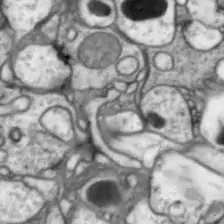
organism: Drosophila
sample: Optic lobe